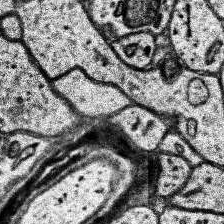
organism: Human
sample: Temporal Lobe